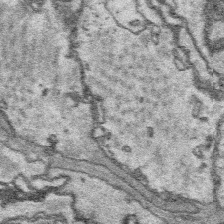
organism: Platynereis dumerilii